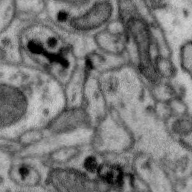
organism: Zebra finch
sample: Brain